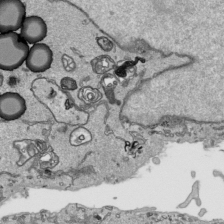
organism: Human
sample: Mitochondria in HCT116 cells